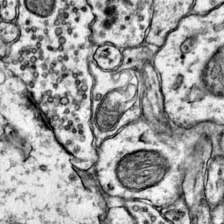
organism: Mouse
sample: Primary visual cortex